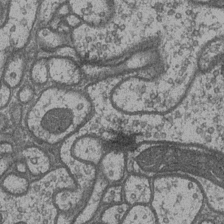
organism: Drosophila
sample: Optic medulla